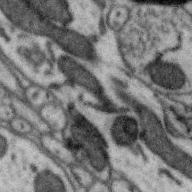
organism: Zebra finch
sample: Brain